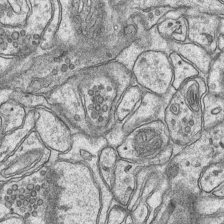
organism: Mouse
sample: CA1 Hippocampus